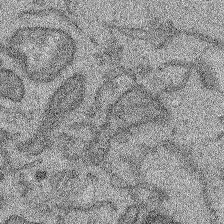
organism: Human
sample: HeLa cells